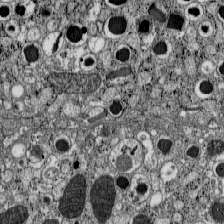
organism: C57BL Mouse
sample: Pancreatic islet